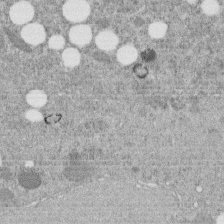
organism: C. elegans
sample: C. elegans embryo early stage